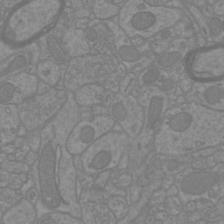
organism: Mouse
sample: Cortical neurons